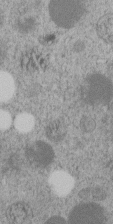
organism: C. elegans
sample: C. elegans embryo early stage